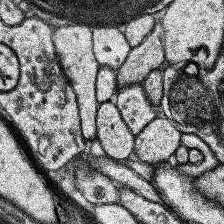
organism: Human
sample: Temporal Lobe